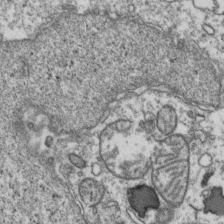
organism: Human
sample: Activated Jurkat CD4+ T cells